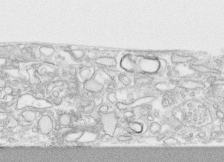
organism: Human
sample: CRL-1474